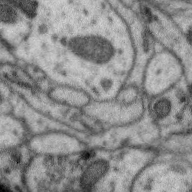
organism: Zebra finch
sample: Brain